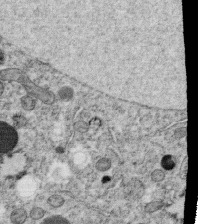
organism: C. elegans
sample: C. elegans oocyte; sperm cells